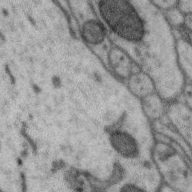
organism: Zebra finch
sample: Brain